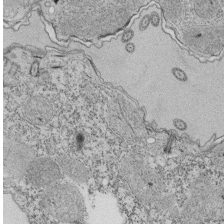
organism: Tetrahymena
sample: Cilia in tetrahymena